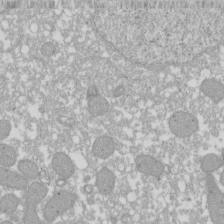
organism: Xenopus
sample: Cilia; centrioles in frog embryo cells